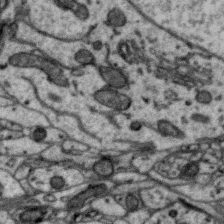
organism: Zebra finch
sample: Brain